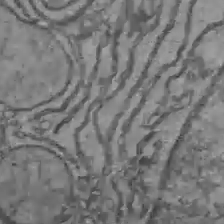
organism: C57BL Mouse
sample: Liver